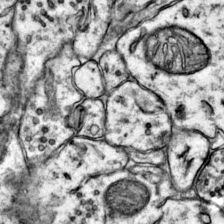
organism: Mouse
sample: Primary visual cortex